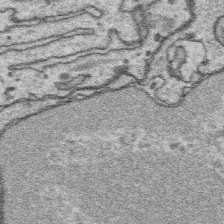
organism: Platynereis dumerilii